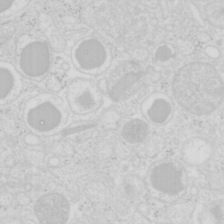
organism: Mouse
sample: Pancreas